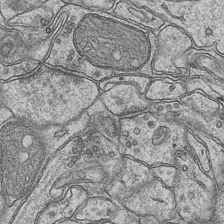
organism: Mouse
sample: CA1 Hippocampus